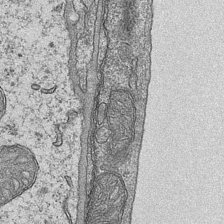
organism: Mouse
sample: CA1 Hippocampus